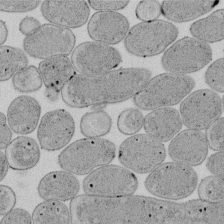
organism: E. coli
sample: Bacterial nucleoid